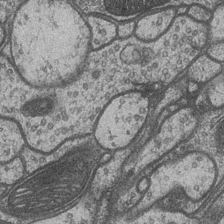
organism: Drosophila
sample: Optic medulla